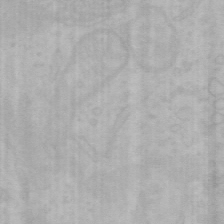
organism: Mouse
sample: Choroid plexus